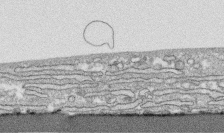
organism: Human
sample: CRL-1474